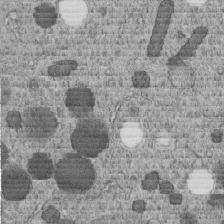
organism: C. elegans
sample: C. elegans embryo early stage